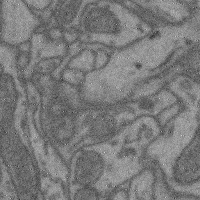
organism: Mouse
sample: Cerebral cortex